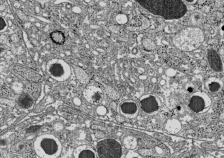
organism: C57BL Mouse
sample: Pancreatic islet